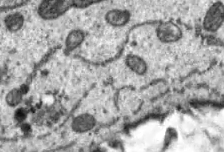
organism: Human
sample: HeLa cells